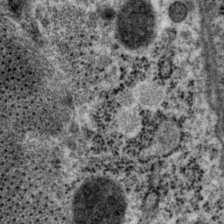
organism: P. pacificus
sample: Pharynx